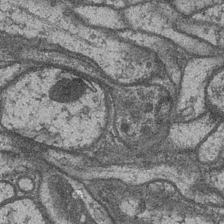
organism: Drosophila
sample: Optic medulla